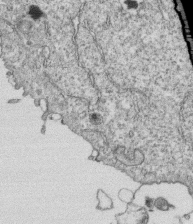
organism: Human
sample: HeLa cell HIV synapse